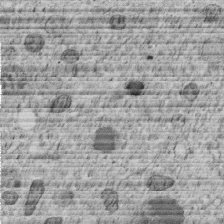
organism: C. elegans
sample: C. elegans embryo early stage